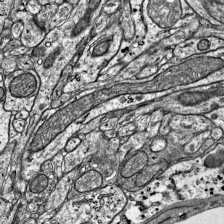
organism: Mouse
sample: Visual Cortex